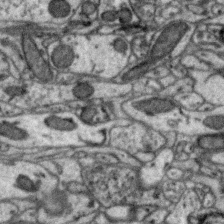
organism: Zebra finch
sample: Brain